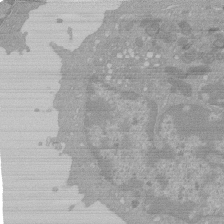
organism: Mouse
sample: Activated Pmel transgenic CD8+ T Cells